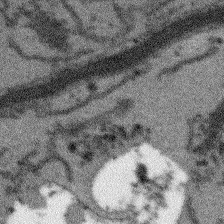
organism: Arabidopsis thaliana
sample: Root tip